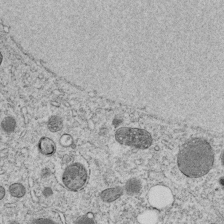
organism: C. elegans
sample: C. elegans embryo early stage